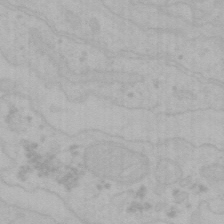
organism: Mouse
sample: Choroid plexus